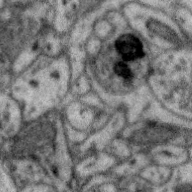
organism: Zebra finch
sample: Brain